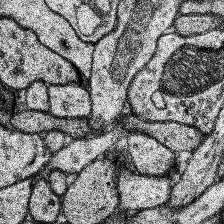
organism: Human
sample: Temporal Lobe